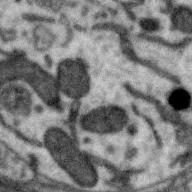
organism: Zebra finch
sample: Brain